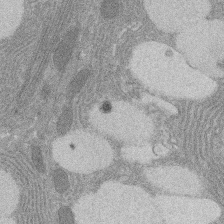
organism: Rat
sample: Salivary granule